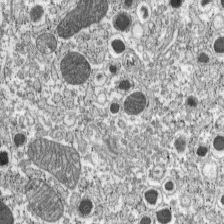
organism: C57BL Mouse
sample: Pancreatic islet